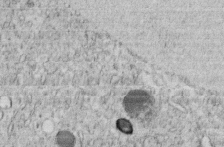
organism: C. elegans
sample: C. elegans embryo early stage